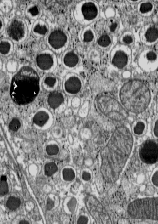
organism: C57BL Mouse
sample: Pancreatic islet